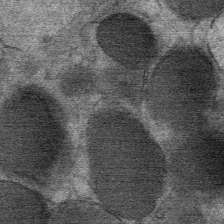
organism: Mouse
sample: Mouse Salivary gland